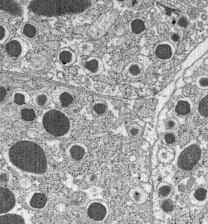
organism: C57BL Mouse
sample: Pancreatic islet